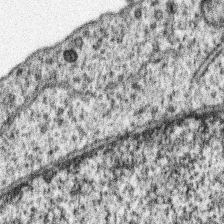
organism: Human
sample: HeLa cells